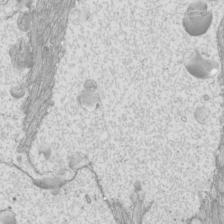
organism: Mouse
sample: Cilia; mouse epididymis